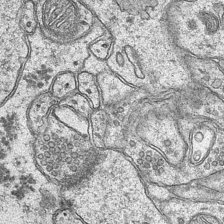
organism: Mouse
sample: CA1 Hippocampus